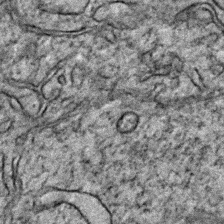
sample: Trachea